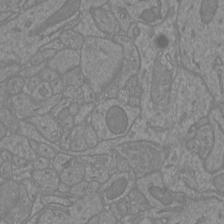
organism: Mouse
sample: Cortical neurons